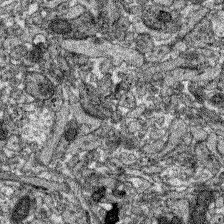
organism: Zebrafish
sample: Larval olfactory bulb